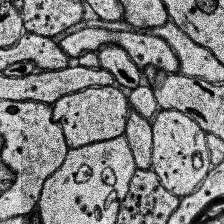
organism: Human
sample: Temporal Lobe